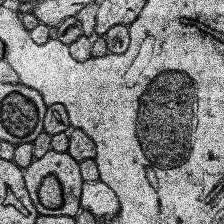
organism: Human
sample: Temporal Lobe